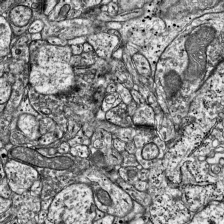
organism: Mouse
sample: Visual Cortex